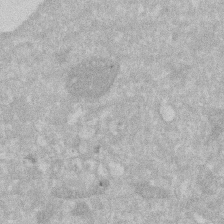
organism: Human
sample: HIV infected U937 cells